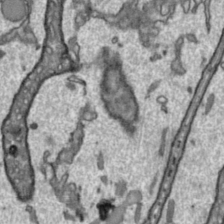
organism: Toxoplasma gondii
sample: Parasites in a vacuole inside a host cell